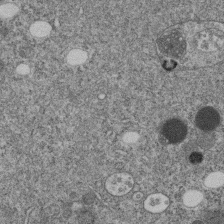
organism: C. elegans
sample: C. elegans embryo early stage